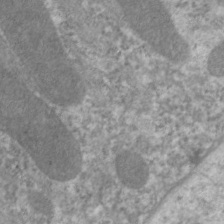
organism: C. elegans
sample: Pharynx